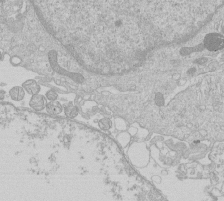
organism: Human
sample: Macrophage cells